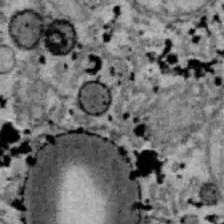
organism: Mouse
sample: Liver from an obese (ob/ob) mouse